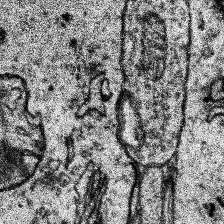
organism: Human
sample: Temporal Lobe